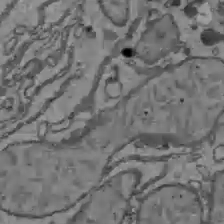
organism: C57BL Mouse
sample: Liver